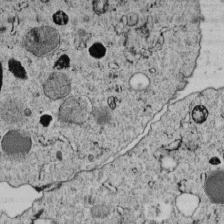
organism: C. elegans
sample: C. elegans embryo early stage